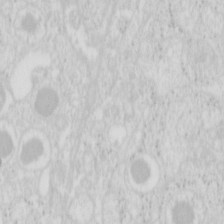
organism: Mouse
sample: Pancreas